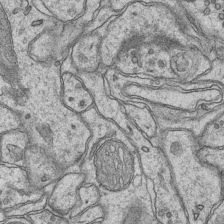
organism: Mouse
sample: CA1 Hippocampus